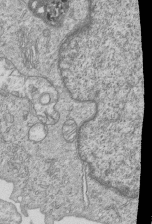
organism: Human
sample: MDA-MB-231 cells